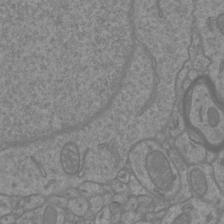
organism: Mouse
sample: Cortical neurons